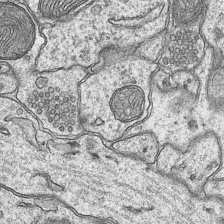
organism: Mouse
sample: CA1 Hippocampus